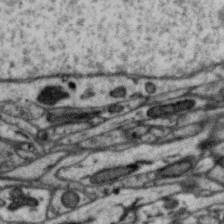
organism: Zebra finch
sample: Brain